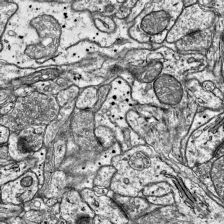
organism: Mouse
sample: Visual Cortex